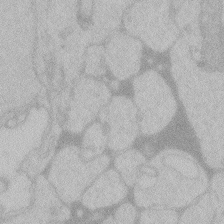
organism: Zebrafish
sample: Macrophage infected with Toxoplasma gondii